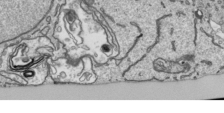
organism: Human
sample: Mitochondria in HCT116 cells